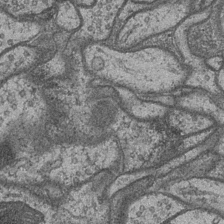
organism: Drosophila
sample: Optic medulla